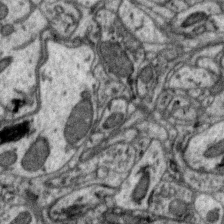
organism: Zebra finch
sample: Brain